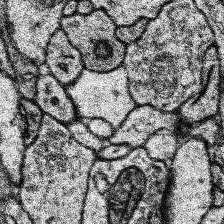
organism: Human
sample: Temporal Lobe